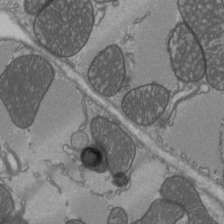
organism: C57BL Mouse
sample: Heart